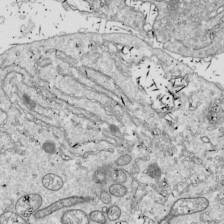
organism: Drosophila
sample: Cell division; meiosis; drosophila spermatocytes